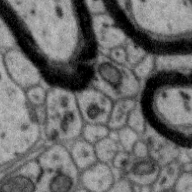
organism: Zebra finch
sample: Brain